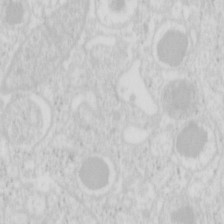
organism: Mouse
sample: Pancreas